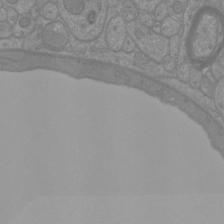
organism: Mouse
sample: Cortical neurons